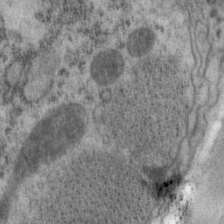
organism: P. pacificus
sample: Pharynx